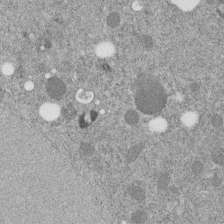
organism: C. elegans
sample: C. elegans embryo early stage